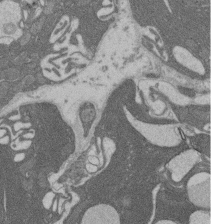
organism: Rat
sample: Salivary granule